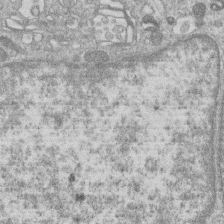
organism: Human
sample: Macrophage cells